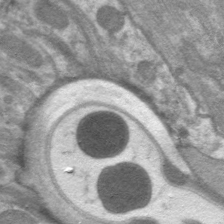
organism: C. elegans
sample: Pharynx